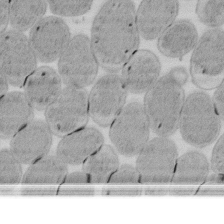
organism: E. coli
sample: Bacterial nucleoid